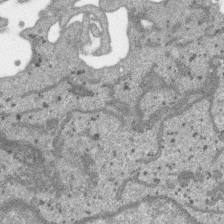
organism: Human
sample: Lung epithelial cells infected with SARS-CoV-2